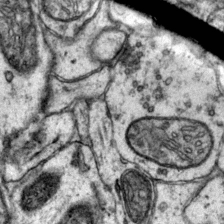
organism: Mouse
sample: Primary visual cortex